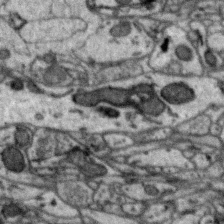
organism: Zebra finch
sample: Brain